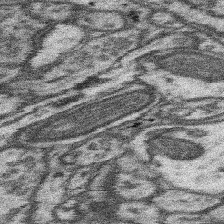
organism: Mouse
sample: Somatosensory cortex neuropil